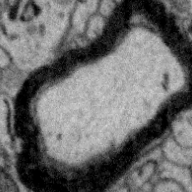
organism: Zebra finch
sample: Brain